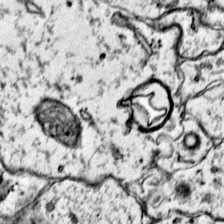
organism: Mouse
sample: Primary visual cortex